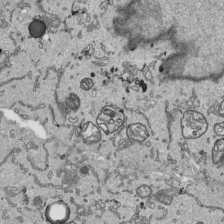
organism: Human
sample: Mitochondria in HCT116 cells